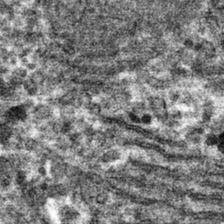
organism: Mouse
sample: Mouse hepatocytes